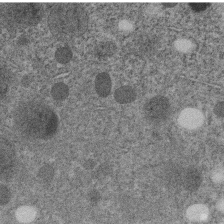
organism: C. elegans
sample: C. elegans embryo early stage